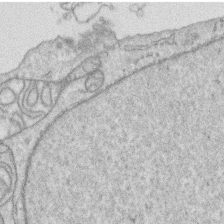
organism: Human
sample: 1205lu cells